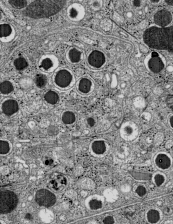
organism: C57BL Mouse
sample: Pancreatic islet